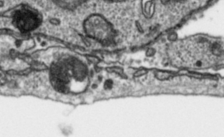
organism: Toxoplasma gondii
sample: Parasites in a vacuole inside a host cell